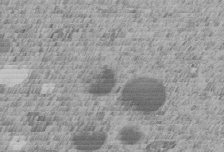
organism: C. elegans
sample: C. elegans embryo early stage